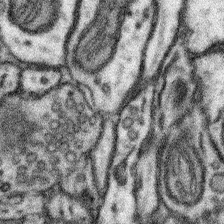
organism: Mouse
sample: Somatosensory cortex neuropil